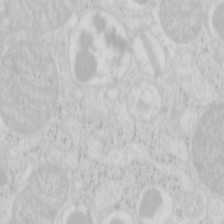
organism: Mouse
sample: Pancreas